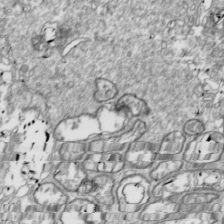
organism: Drosophila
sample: Cell division; meiosis; drosophila spermatocytes